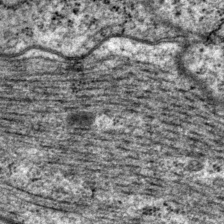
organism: P. pacificus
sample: Pharynx